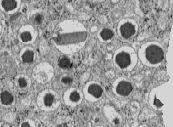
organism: C57BL Mouse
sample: Pancreatic islet